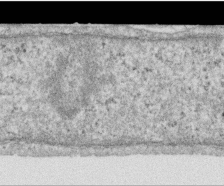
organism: Human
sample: Centriole in RPE cells